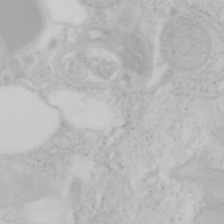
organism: Mouse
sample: OT-I killer T cells with ID8 ovarian cancer cells